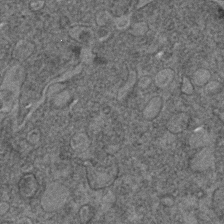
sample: Trachea